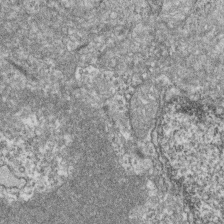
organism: Zebrafish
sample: Cilia; retinal pigment epithelium